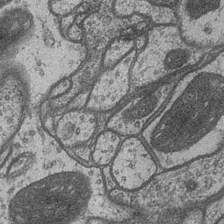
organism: Drosophila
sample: Optic medulla